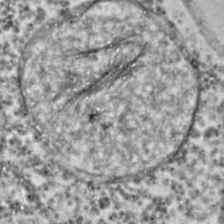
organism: C. elegans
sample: C. elegans embryo